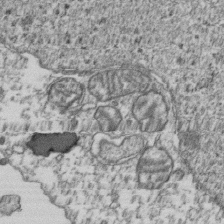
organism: Human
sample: Activated Jurkat CD4+ T cells